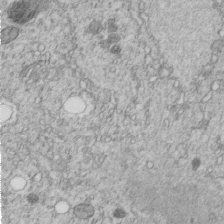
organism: C. elegans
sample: C. elegans embryo early stage